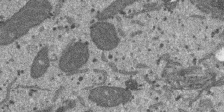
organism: Human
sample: Lung epithelial cells infected with SARS-CoV-2